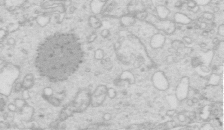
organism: Mouse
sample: Multiciliated cells